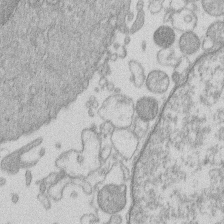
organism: Human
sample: Macrophage cells